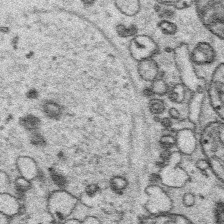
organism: Platynereis dumerilii